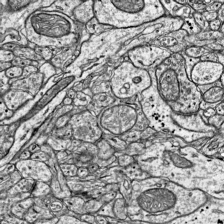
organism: Mouse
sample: Visual Cortex